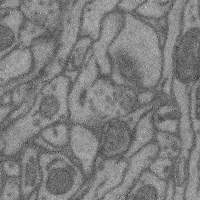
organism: Mouse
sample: Cerebral cortex